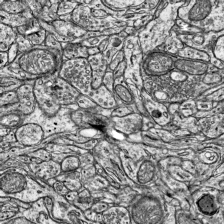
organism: Mouse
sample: Visual Cortex